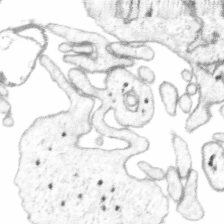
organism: Human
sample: HeLa cells